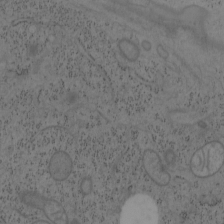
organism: Mouse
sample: OT-I killer T cells with ID8 ovarian cancer cells